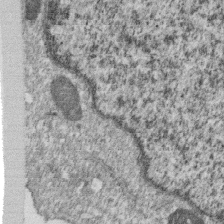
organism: African green monkey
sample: Vero E6 cells infected with SARS-CoV-2